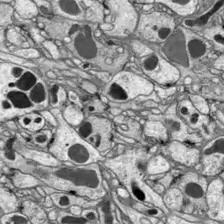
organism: Drosophila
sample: Optic lobe